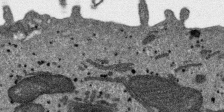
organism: Human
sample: Lung epithelial cells, uninfected (mock) control